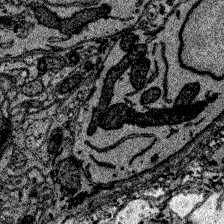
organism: Zebrafish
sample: Larval olfactory bulb